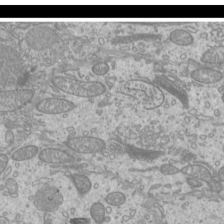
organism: Mouse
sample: Cilia; mouse epididymis